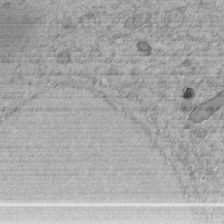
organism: C. elegans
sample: C. elegans embryo early stage